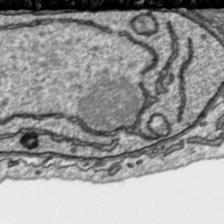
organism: Toxoplasma gondii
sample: Parasites in a vacuole inside a host cell